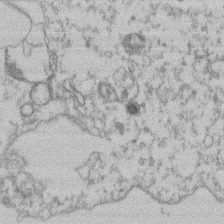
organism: Mouse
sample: T cell stromal cell synapse